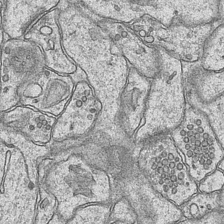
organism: Mouse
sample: CA1 Hippocampus